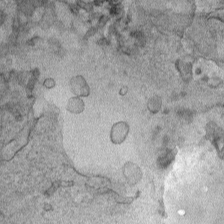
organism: Human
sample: Mitochondria in HCT116 cells